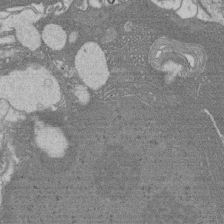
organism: Rat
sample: Salivary granule